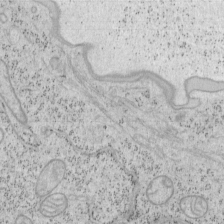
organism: Mouse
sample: OT-I killer T cells with ID8 ovarian cancer cells